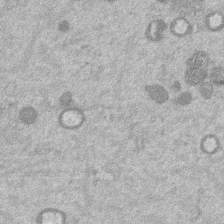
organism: Mouse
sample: Dividing mouse embryo 1 cell stage